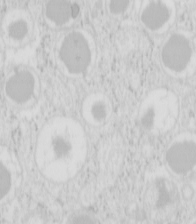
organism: Mouse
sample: Pancreas